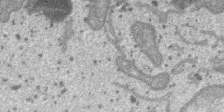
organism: Human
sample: Lung epithelial cells infected with SARS-CoV-2